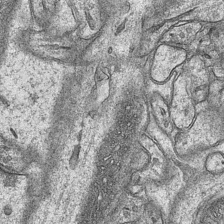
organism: Mouse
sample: CA1 Hippocampus